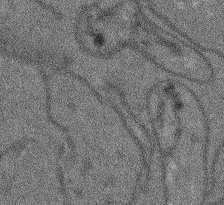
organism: Arabidopsis thaliana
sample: Root tip